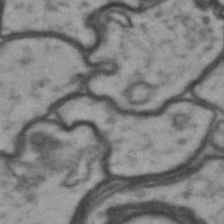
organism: Drosophila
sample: Brain